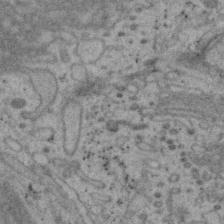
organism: Human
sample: HeLa cells